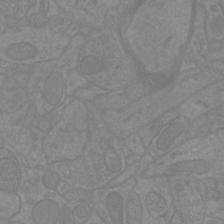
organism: Mouse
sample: Cortical neurons